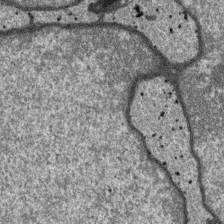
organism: Human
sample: Lung epithelial cells, uninfected (mock) control